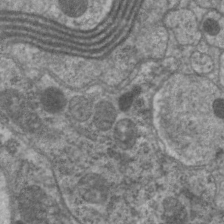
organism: C. elegans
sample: Pharynx